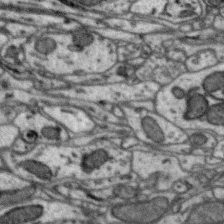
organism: Zebra finch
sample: Brain